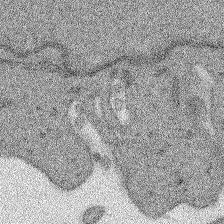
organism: Human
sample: HeLa cells